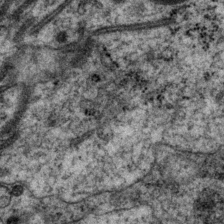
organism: P. pacificus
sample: Pharynx